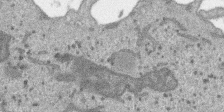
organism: Human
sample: Lung epithelial cells infected with SARS-CoV-2